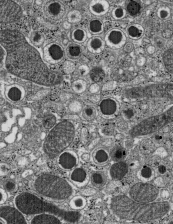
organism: C57BL Mouse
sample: Pancreatic islet